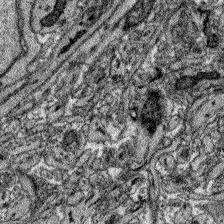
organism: Zebrafish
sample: Larval olfactory bulb